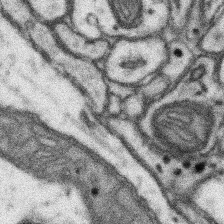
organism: Mouse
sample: Somatosensory cortex neuropil